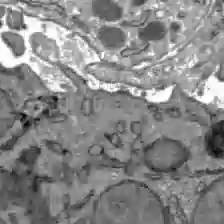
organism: C57BL Mouse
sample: Liver